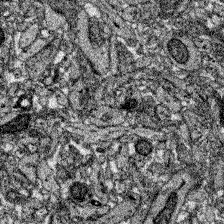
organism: Zebrafish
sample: Larval olfactory bulb